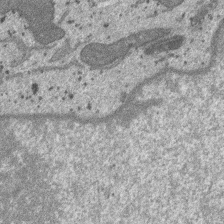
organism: Human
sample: Lung epithelial cells infected with SARS-CoV-2